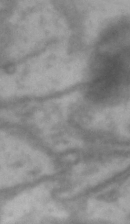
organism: Drosophila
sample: Brain